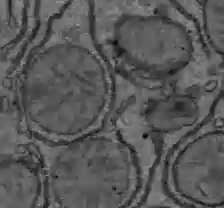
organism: C57BL Mouse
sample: Liver